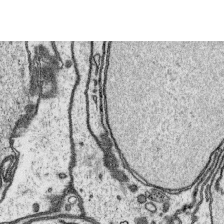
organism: Platynereis dumerilii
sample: Parapodia